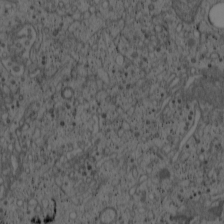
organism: African green monkey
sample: COS-7 cells